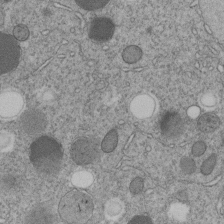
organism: C. elegans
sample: C. elegans embryo early stage